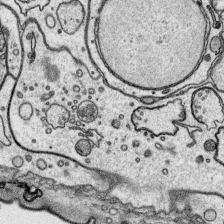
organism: Platynereis dumerilii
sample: Parapodia